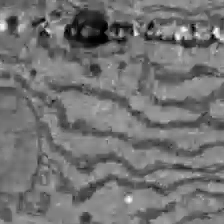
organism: C57BL Mouse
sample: Liver